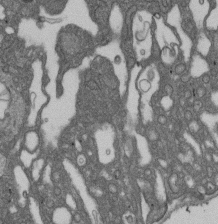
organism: Drosophila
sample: Nephrocyte